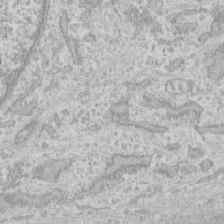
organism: Human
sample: CRL-1474